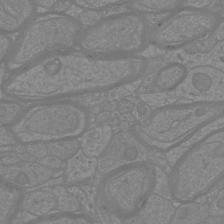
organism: Mouse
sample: Cortical neurons